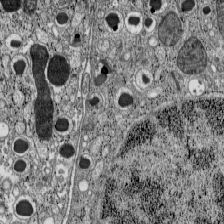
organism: C57BL Mouse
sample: Pancreatic islet